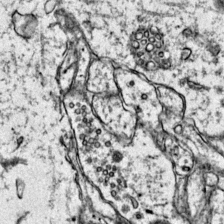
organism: Mouse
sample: Primary visual cortex